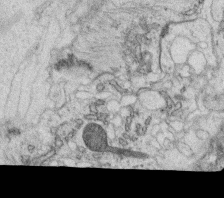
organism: C. elegans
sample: C. elegans oocyte; sperm cells